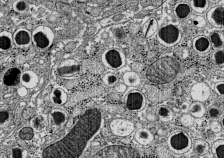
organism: C57BL Mouse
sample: Pancreatic islet